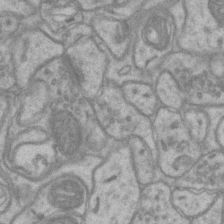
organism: Mouse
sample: CA1 Hippocampus